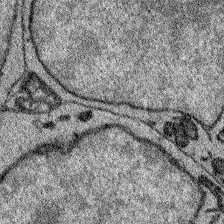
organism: Zebrafish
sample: Larval olfactory bulb